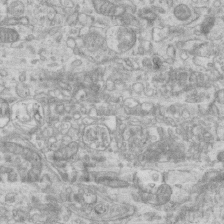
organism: Mouse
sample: Centriole in ependymal cells